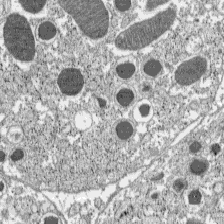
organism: C57BL Mouse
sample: Pancreatic islet